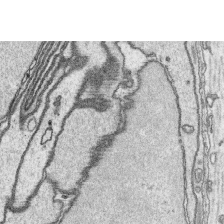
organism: Platynereis dumerilii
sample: Parapodia